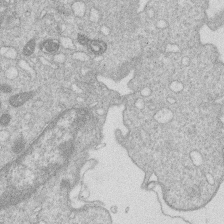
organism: Human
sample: Macrophage cells